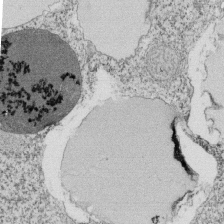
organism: Tetrahymena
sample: Cilia in tetrahymena